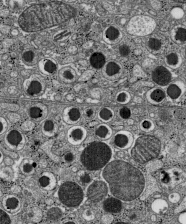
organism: C57BL Mouse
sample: Pancreatic islet